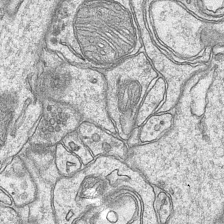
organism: Mouse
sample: CA1 Hippocampus